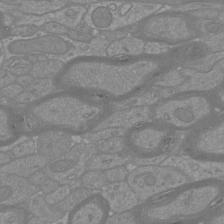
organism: Mouse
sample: Cortical neurons